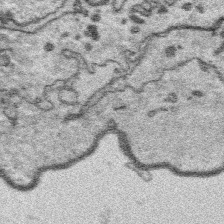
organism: Platynereis dumerilii